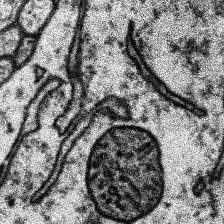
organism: Human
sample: Temporal Lobe